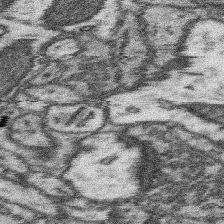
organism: Mouse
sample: Somatosensory cortex neuropil